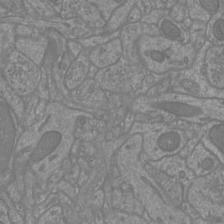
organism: Mouse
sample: Cortical neurons